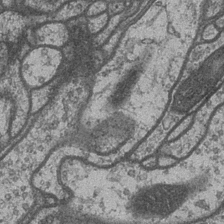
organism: Drosophila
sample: Optic medulla